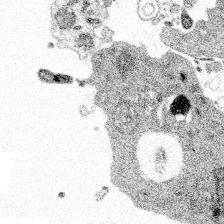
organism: Spongilla lacustris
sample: Multiple